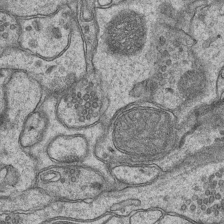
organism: Mouse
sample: CA1 Hippocampus